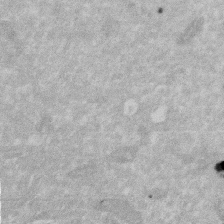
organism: Human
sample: HIV infected U937 cells